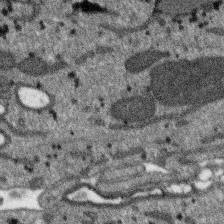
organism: Human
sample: Lung epithelial cells infected with SARS-CoV-2